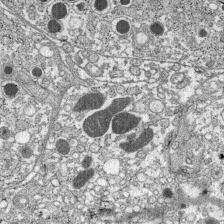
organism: C57BL Mouse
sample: Pancreatic islet